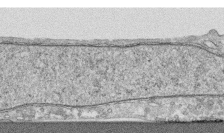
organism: Human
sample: CRL-1474